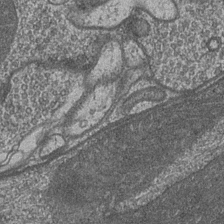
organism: Drosophila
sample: Optic medulla